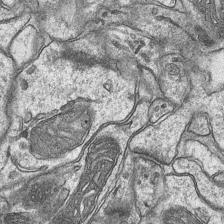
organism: Mouse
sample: CA1 Hippocampus